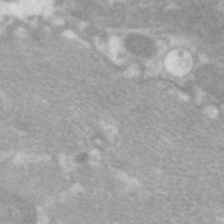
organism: C. elegans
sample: Pharynx